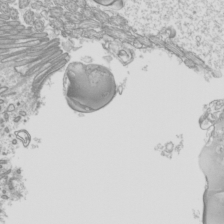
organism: Mouse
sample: Cilia; mouse epididymis